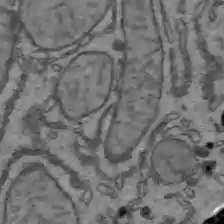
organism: C57BL Mouse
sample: Liver